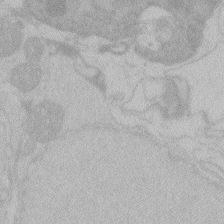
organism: Zebrafish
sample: Macrophage infected with Toxoplasma gondii